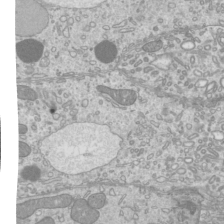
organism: Mouse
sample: Cilia; mouse epididymis